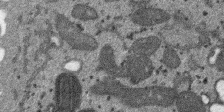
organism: Human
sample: Lung epithelial cells infected with SARS-CoV-2